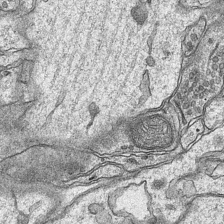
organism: Mouse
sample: CA1 Hippocampus